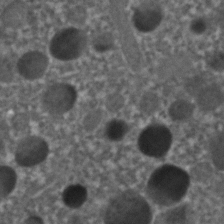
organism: C. elegans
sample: C. elegans embryo